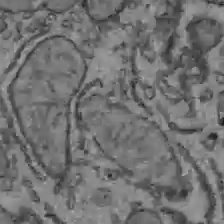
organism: C57BL Mouse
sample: Liver